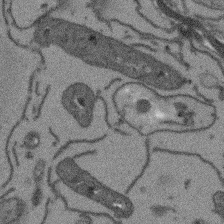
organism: Arabidopsis thaliana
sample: Root tip